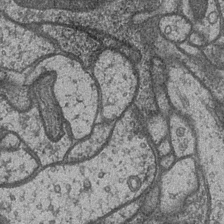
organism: Drosophila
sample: Optic medulla